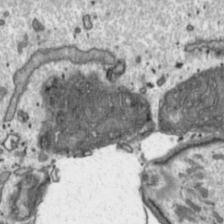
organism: Toxoplasma gondii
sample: Parasites in a vacuole inside a host cell